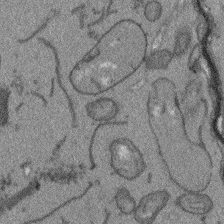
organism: Arabidopsis thaliana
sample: Root tip